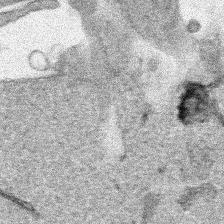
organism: Human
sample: Mitochondria in HCT116 cells